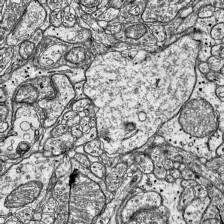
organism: Mouse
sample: Visual Cortex